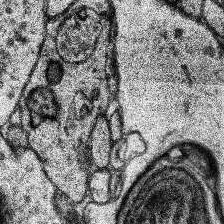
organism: Human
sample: Temporal Lobe